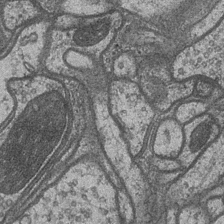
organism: Drosophila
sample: Optic medulla